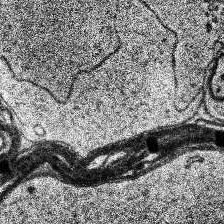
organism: Human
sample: Temporal Lobe